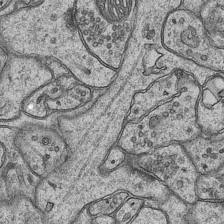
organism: Mouse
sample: CA1 Hippocampus